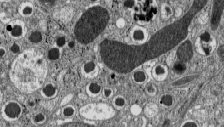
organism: C57BL Mouse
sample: Pancreatic islet